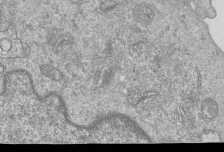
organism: Human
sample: MDA-MB-231 cells